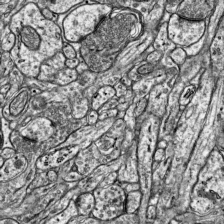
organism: Mouse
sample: Visual Cortex